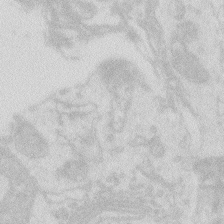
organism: Zebrafish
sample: Macrophage